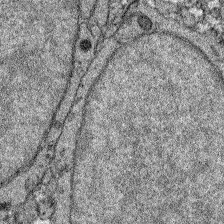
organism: Zebrafish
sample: Larval olfactory bulb